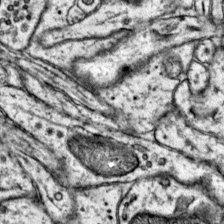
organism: Mouse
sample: Primary visual cortex